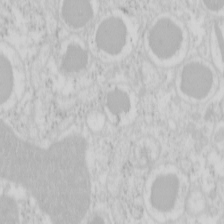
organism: Mouse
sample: Pancreas